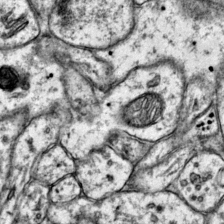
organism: Mouse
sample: Primary visual cortex